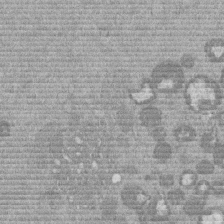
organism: Mouse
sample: Dividing mouse embryo 1 cell stage